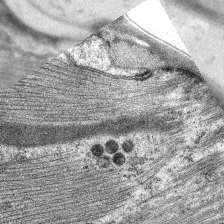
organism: C. elegans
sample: Pharynx